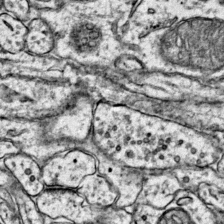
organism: Mouse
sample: Primary visual cortex